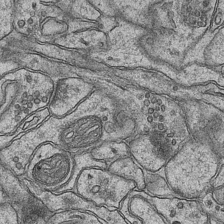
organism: Mouse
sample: CA1 Hippocampus